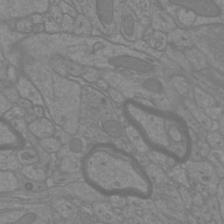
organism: Mouse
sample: Cortical neurons